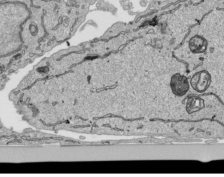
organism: Human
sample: Mitochondria in HCT116 cells